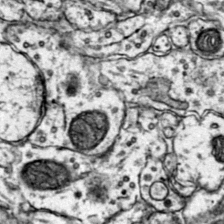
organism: Mouse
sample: Primary visual cortex